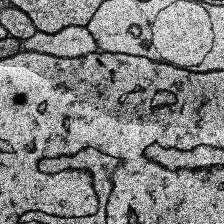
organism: Human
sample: Temporal Lobe